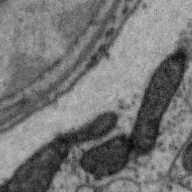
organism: Zebra finch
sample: Brain